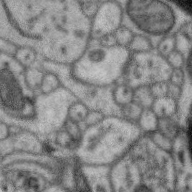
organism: Zebra finch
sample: Brain